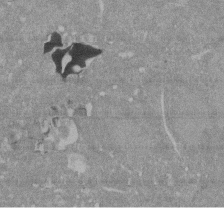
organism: Mouse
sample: ED-1 cell nuclei; centrioles